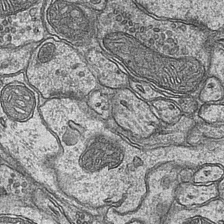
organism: Mouse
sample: CA1 Hippocampus